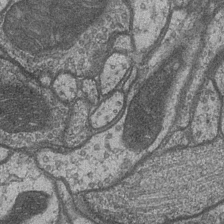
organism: Drosophila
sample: Optic medulla